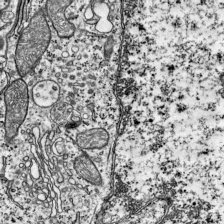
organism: Mouse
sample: Visual Cortex